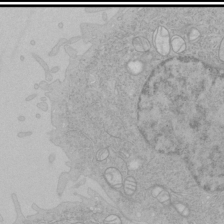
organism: Human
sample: Mitochondria in HCT116 cells